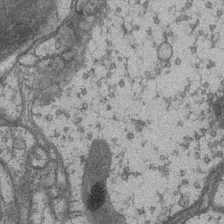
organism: Drosophila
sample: Optic medulla